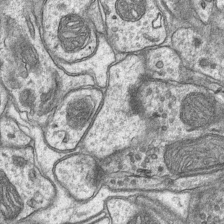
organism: Mouse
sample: CA1 Hippocampus